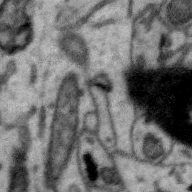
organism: Zebra finch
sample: Brain